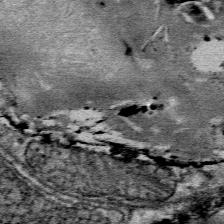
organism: Mouse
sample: Mouse Salivary gland